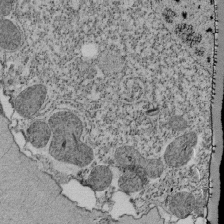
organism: Tetrahymena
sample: Cilia in tetrahymena